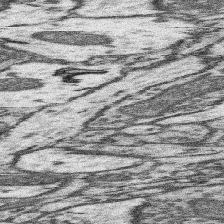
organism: Mouse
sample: Somatosensory cortex neuropil